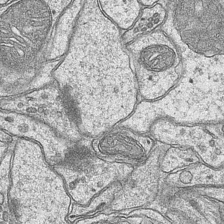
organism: Mouse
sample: CA1 Hippocampus